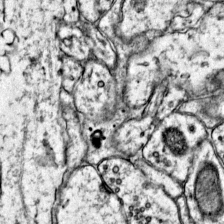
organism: Mouse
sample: Primary visual cortex